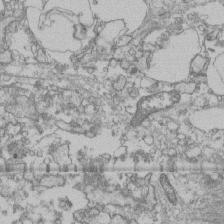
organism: Human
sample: Fibroblast cells